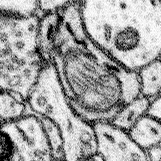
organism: Mouse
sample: Somatosensory cortex neuropil